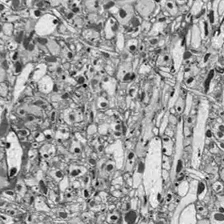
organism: Drosophila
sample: Optic lobe